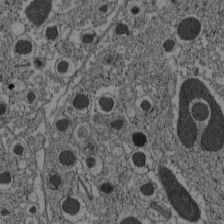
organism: C57BL Mouse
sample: Pancreatic islet